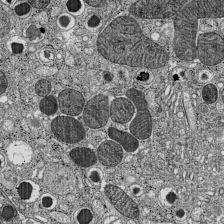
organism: C57BL Mouse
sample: Pancreatic islet